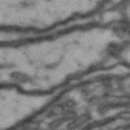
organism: Drosophila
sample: Brain